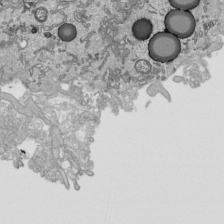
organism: Human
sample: Mitochondria in HCT116 cells